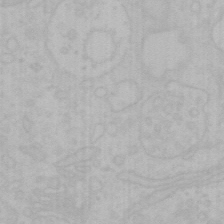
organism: Mouse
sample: Choroid plexus